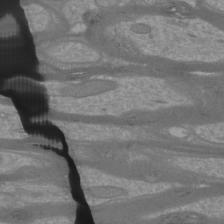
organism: Mouse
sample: Cortical neurons